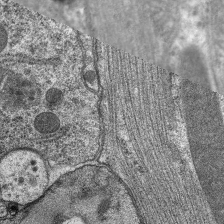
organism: C. elegans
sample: Pharynx